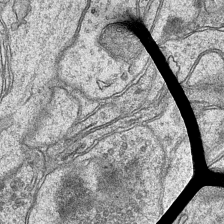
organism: Mouse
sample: CA1 Hippocampus